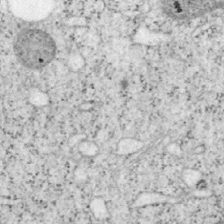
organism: Mouse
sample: OT-I killer T cells with ID8 ovarian cancer cells